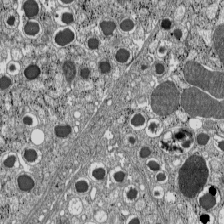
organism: C57BL Mouse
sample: Pancreatic islet